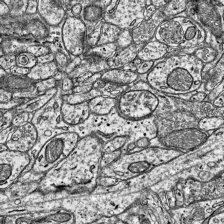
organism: Mouse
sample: Visual Cortex